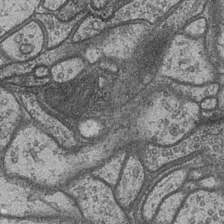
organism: Drosophila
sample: Optic medulla